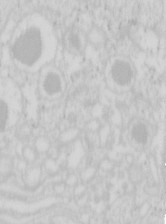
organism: Mouse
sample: Pancreas